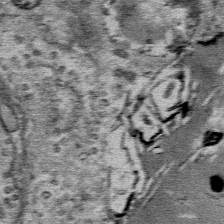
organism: Mouse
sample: Mouse Salivary gland